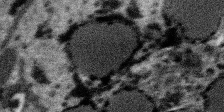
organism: Human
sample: Lung epithelial cells infected with SARS-CoV-2